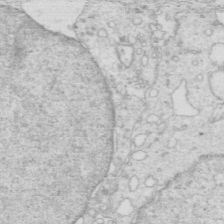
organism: Mouse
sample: Multiciliated cells